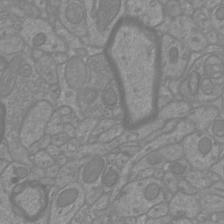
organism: Mouse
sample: Cortical neurons